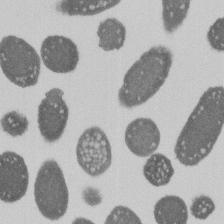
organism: E. coli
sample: Bacterial nucleoid